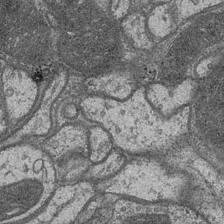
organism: Drosophila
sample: Optic medulla